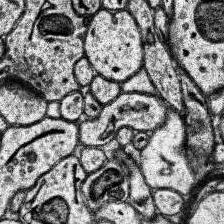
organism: Human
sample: Temporal Lobe